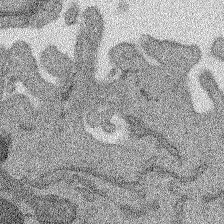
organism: Human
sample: HeLa cells